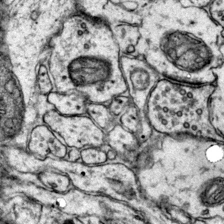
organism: Mouse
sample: Primary visual cortex